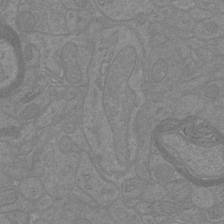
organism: Mouse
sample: Cortical neurons